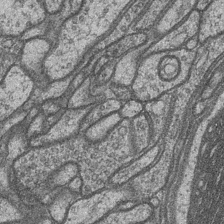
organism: Drosophila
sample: Optic medulla